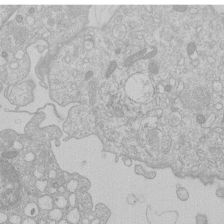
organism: Human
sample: Macrophage cells